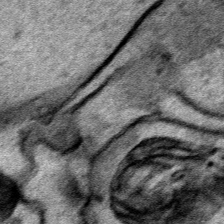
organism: Human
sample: Mitochondria in HCT116 cells